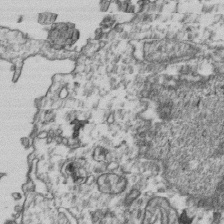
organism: Human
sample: Activated Jurkat CD4+ T cells